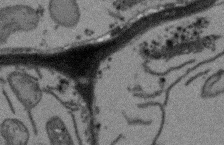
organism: Arabidopsis thaliana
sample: Root tip